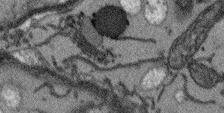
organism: Arabidopsis thaliana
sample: Root tip